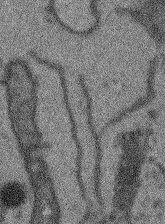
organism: Arabidopsis thaliana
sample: Root tip